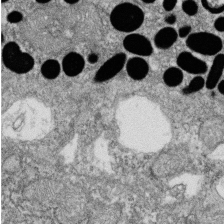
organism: Zebrafish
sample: Cilia; retinal pigment epithelium